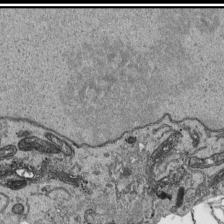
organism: Human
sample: Mitochondria in HCT116 cells